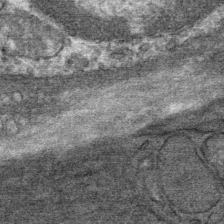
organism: Mouse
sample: Mouse Salivary gland